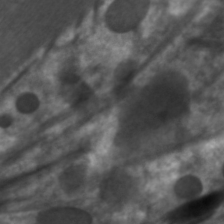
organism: C. elegans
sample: Pharynx